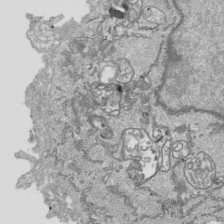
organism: Human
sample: Mitochondria in HCT116 cells